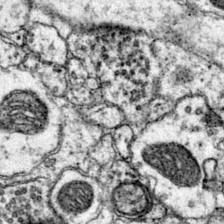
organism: Mouse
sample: Primary visual cortex